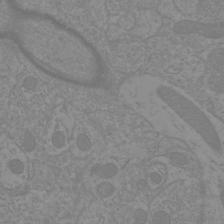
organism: Mouse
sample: Cortical neurons